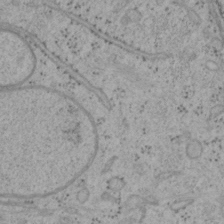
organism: Human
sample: HeLa cells